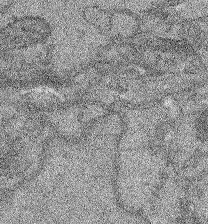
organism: Human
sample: HeLa cells